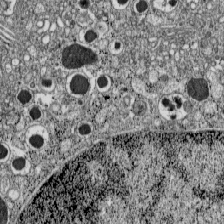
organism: C57BL Mouse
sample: Pancreatic islet